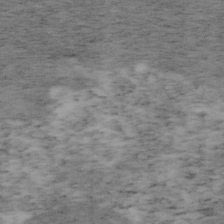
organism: Mouse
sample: OT-I killer T cells with ID8 ovarian cancer cells